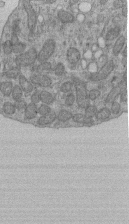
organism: Human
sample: Retinal organoid Rod and Cone cells